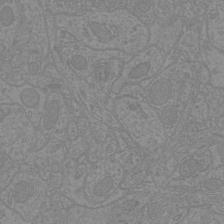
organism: Mouse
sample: Cortical neurons